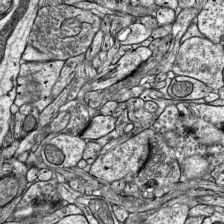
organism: Mouse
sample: Visual Cortex